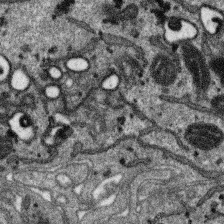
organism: Human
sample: Lung epithelial cells infected with SARS-CoV-2